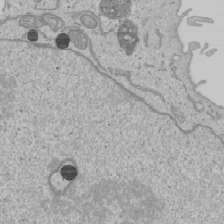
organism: Human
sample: Mitochondria in U2OS cells